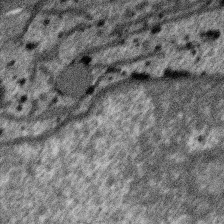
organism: Human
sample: Lung epithelial cells infected with SARS-CoV-2